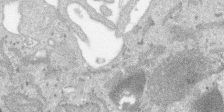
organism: Human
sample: Lung epithelial cells infected with SARS-CoV-2